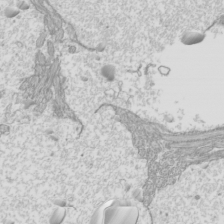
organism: Mouse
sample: Cilia; mouse epididymis